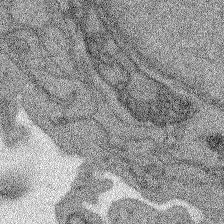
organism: Human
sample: HeLa cells